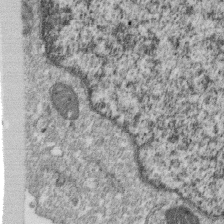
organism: African green monkey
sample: Vero E6 cells infected with SARS-CoV-2